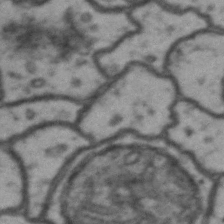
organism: Drosophila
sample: Brain